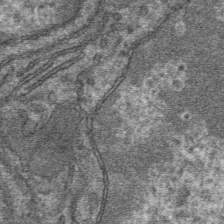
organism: Mouse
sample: Mouse hepatocytes